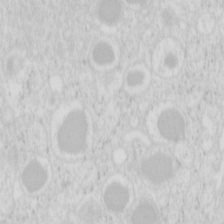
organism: Mouse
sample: Pancreas